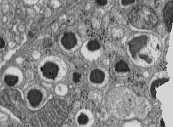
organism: C57BL Mouse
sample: Pancreatic islet